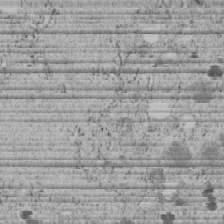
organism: C. elegans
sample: C. elegans embryo early stage